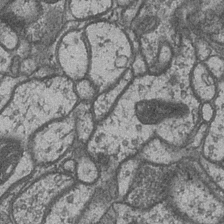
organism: Drosophila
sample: Optic medulla